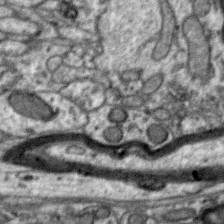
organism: Zebra finch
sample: Brain